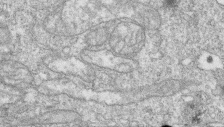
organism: Human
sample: HeLa cell HIV synapse